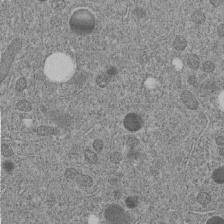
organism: C. elegans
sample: C. elegans embryo early stage